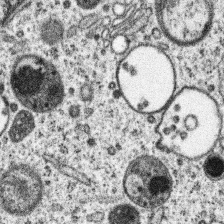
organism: Human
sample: HeLa cells